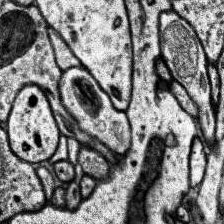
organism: Human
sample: Temporal Lobe